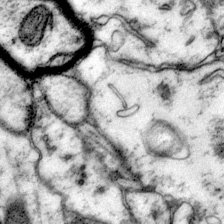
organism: Mouse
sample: Primary visual cortex